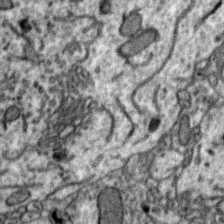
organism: Zebra finch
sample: Brain